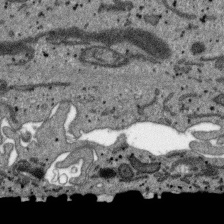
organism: Human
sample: Lung epithelial cells, uninfected (mock) control